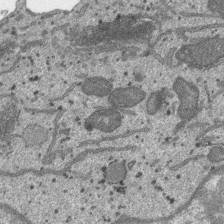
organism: Human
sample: Lung epithelial cells infected with SARS-CoV-2